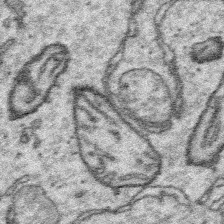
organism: Platynereis dumerilii